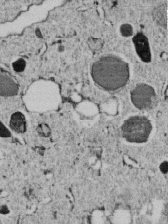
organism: C. elegans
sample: C. elegans embryo early stage